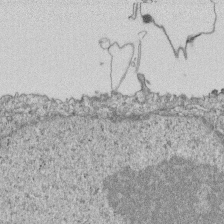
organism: Human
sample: HeLa cell HIV synapse